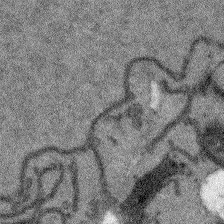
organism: Arabidopsis thaliana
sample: Root tip